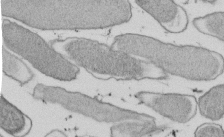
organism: E. coli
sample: Bacterial nucleoid